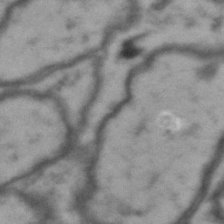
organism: Drosophila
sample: Brain